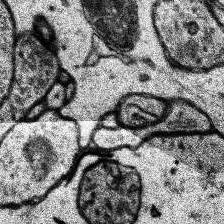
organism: Human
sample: Temporal Lobe